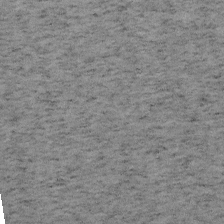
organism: Mouse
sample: OT-I killer T cells with ID8 ovarian cancer cells